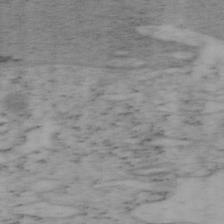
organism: Mouse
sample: OT-I killer T cells with ID8 ovarian cancer cells